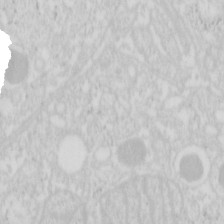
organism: Mouse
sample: Pancreas